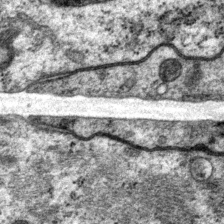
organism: P. pacificus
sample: Pharynx